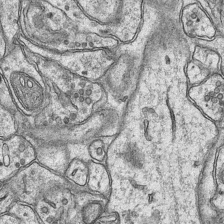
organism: Mouse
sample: CA1 Hippocampus